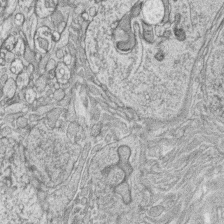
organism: Zebrafish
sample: synaptic ribbons in rod cells and cone cells